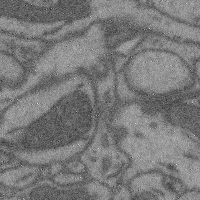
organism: Mouse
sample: Cerebral cortex